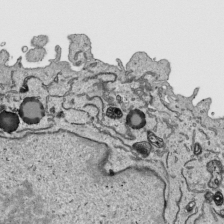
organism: Human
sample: Mitochondria in HCT116 cells